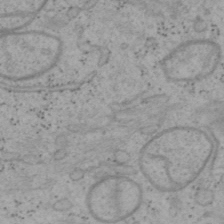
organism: Human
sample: HeLa cells